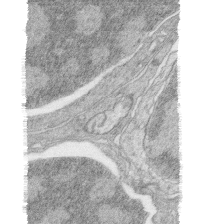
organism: Zebrafish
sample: synaptic ribbons in rod cells and cone cells